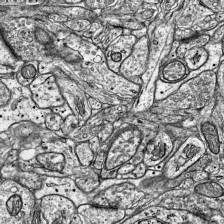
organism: Mouse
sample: Visual Cortex